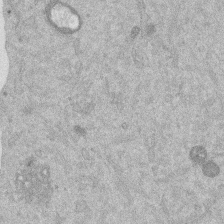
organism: Mouse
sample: Dividing mouse embryo 1 cell stage